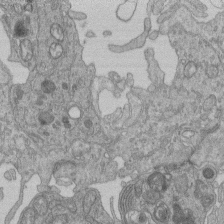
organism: Human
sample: Retinal organoid Rod and Cone cells